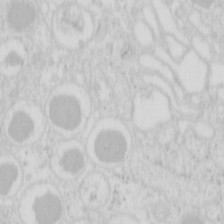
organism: Mouse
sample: Pancreas